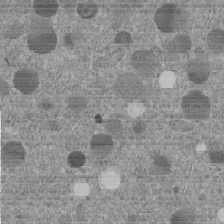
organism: C. elegans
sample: C. elegans embryo early stage